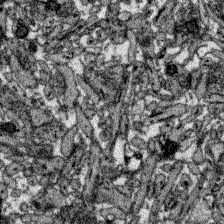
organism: Zebrafish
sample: Larval olfactory bulb